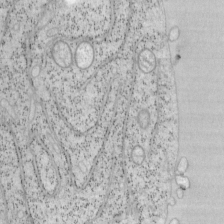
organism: Mouse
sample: OT-I killer T cells with ID8 ovarian cancer cells